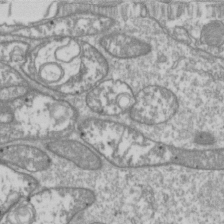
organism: Drosophila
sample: Cell division; meiosis; drosophila spermatocytes